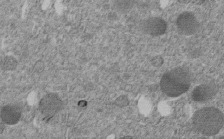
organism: C. elegans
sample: C. elegans embryo early stage